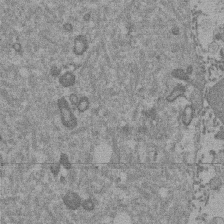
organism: Mouse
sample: Dividing mouse embryo 1 cell stage